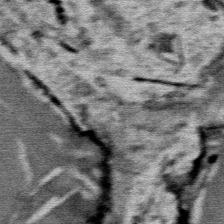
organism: Mouse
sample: Mouse Salivary gland